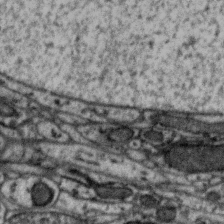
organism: Zebra finch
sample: Brain